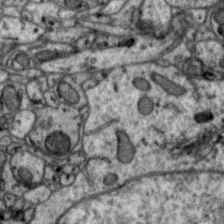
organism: Zebra finch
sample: Brain